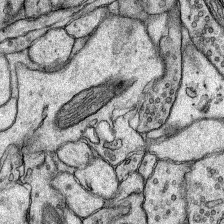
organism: Rat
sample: Hippocampus